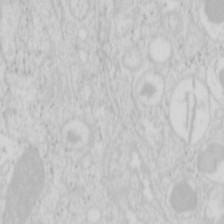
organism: Mouse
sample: Pancreas